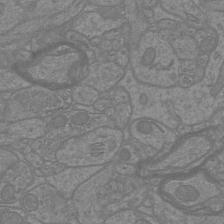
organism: Mouse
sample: Cortical neurons